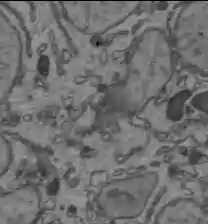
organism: C57BL Mouse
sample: Liver